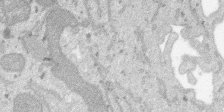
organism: Human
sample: Lung epithelial cells infected with SARS-CoV-2